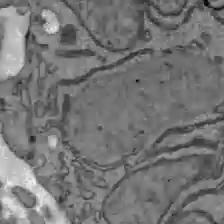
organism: C57BL Mouse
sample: Liver